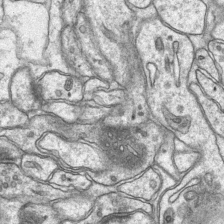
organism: Mouse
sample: CA1 Hippocampus